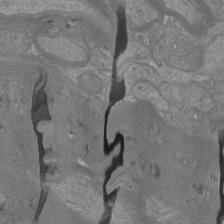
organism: Mouse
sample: Cortical neurons